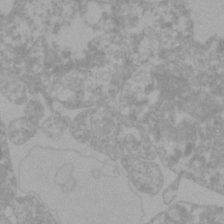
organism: Zebrafish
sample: Zebrafish embryo